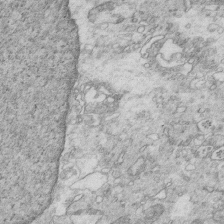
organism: Mouse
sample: Multiciliated cells